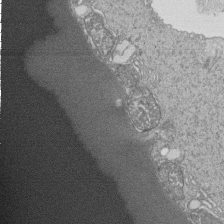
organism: Tetrahymena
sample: Cilia in tetrahymena